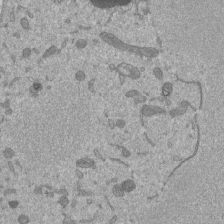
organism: Mouse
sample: ED-1 cell nuclei; centrioles